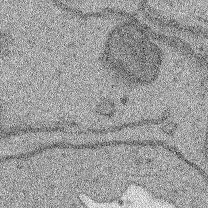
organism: Human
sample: HeLa cells